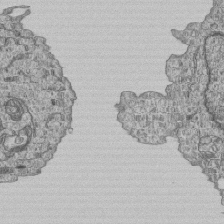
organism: Human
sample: MDA-MB-231 cells